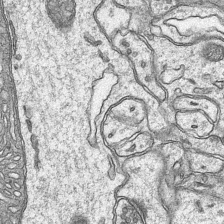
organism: Mouse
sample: CA1 Hippocampus